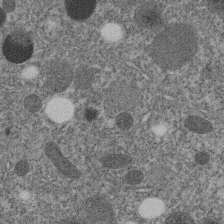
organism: C. elegans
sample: C. elegans embryo early stage